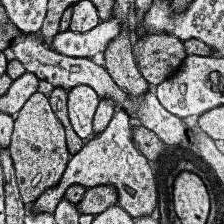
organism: Human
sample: Temporal Lobe